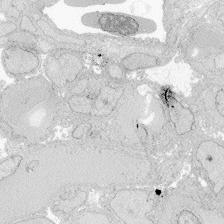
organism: Zebrafish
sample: Whole-Brain